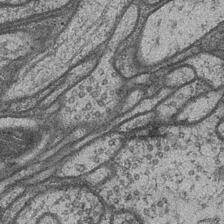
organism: Drosophila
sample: Optic medulla